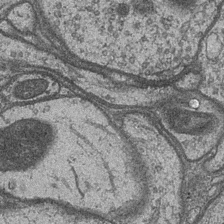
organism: Drosophila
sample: Optic medulla